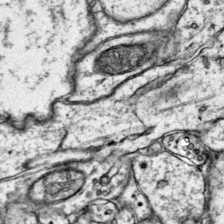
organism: Mouse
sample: Primary visual cortex